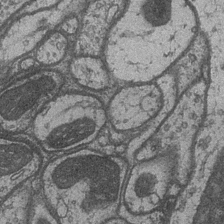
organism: Drosophila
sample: Optic medulla